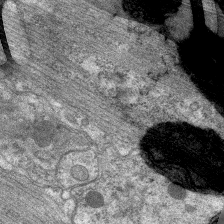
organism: C. elegans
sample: Pharynx